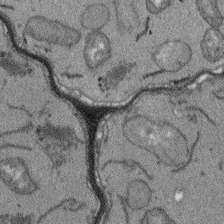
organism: Arabidopsis thaliana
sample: Root tip